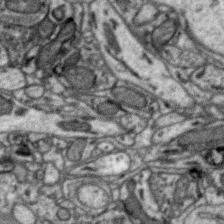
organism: Zebra finch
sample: Brain